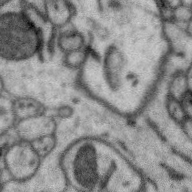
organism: Zebra finch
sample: Brain